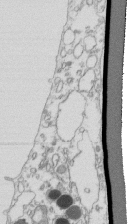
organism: Mouse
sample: Macrophages